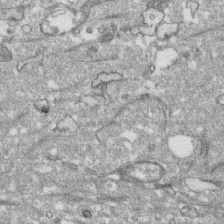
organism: Human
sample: CRL-1474